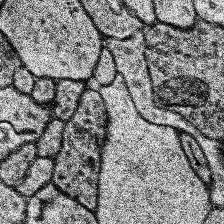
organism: Human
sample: Temporal Lobe